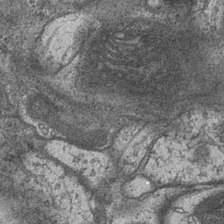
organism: Drosophila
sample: Optic medulla